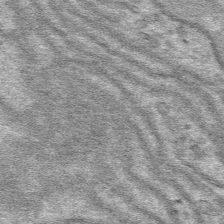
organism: Mouse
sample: Mouse hepatocytes